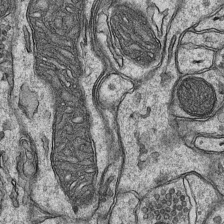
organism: Mouse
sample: CA1 Hippocampus